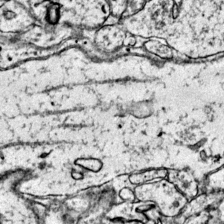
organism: Mouse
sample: Primary visual cortex